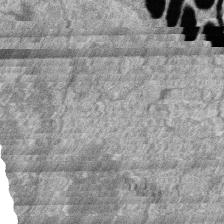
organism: Zebrafish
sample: Cilia; retinal pigment epithelium